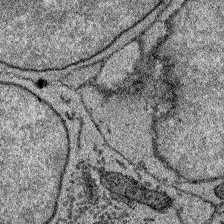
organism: Zebrafish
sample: Larval olfactory bulb